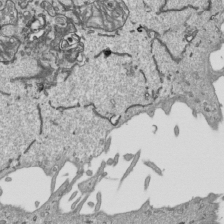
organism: Human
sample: Mitochondria in HCT116 cells